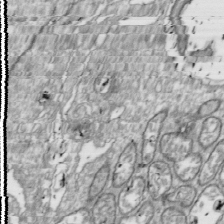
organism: Drosophila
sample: Cell division; meiosis; drosophila spermatocytes